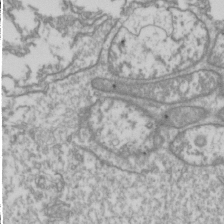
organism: Drosophila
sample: Cell division; meiosis; drosophila spermatocytes